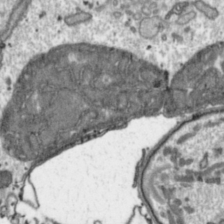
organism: Toxoplasma gondii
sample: Parasites in a vacuole inside a host cell